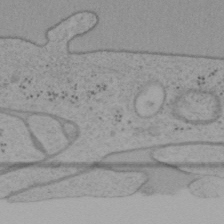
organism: Human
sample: HeLa cells